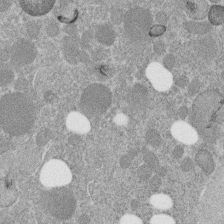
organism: C. elegans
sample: C. elegans embryo early stage